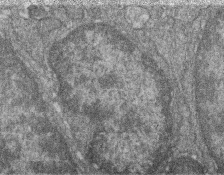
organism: Zebrafish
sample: Cilia; retinal pigment epithelium